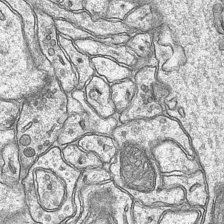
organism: Mouse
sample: CA1 Hippocampus